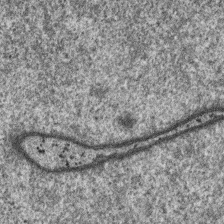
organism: Human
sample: Lung epithelial cells infected with SARS-CoV-2